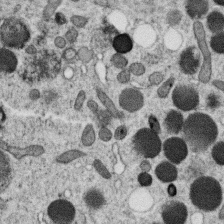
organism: C. elegans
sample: C. elegans oocyte; sperm cells